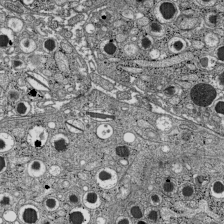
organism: C57BL Mouse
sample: Pancreatic islet